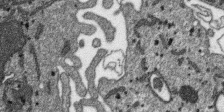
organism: Human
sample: Lung epithelial cells infected with SARS-CoV-2